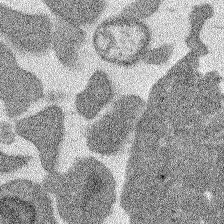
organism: Human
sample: HeLa cells